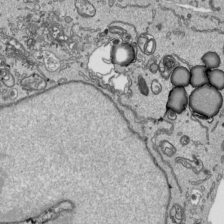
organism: Human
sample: Mitochondria in HCT116 cells